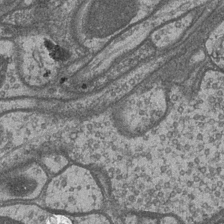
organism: Drosophila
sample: Optic medulla